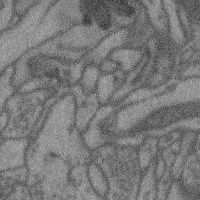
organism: Mouse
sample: Cerebral cortex